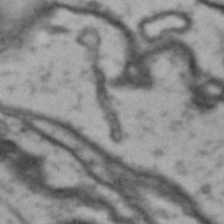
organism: Drosophila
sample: Brain